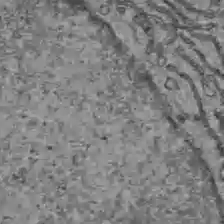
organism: C57BL Mouse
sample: Liver